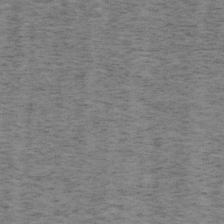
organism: Mouse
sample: OT-I killer T cells with ID8 ovarian cancer cells